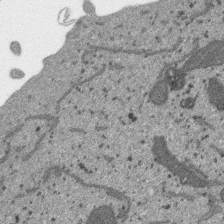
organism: Human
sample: Lung epithelial cells infected with SARS-CoV-2